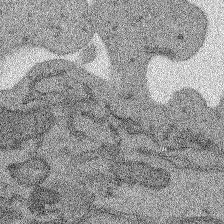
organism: Human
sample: HeLa cells